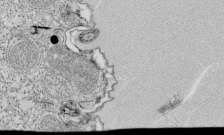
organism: Tetrahymena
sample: Cilia in tetrahymena